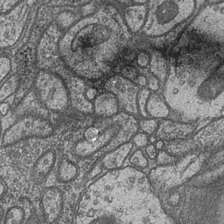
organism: Drosophila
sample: Optic medulla